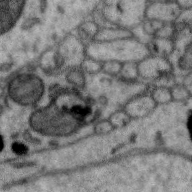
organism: Zebra finch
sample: Brain